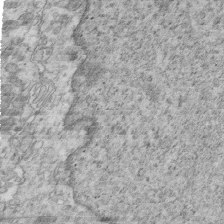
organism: Mouse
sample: Multiciliated cells